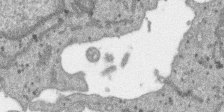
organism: Human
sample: Lung epithelial cells infected with SARS-CoV-2